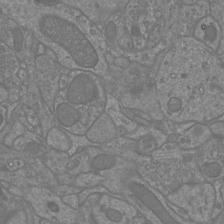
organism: Mouse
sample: Cortical neurons